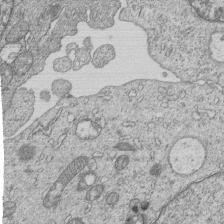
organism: Human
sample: MDA-MB-231 cells